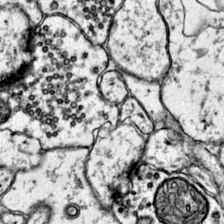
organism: Mouse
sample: Primary visual cortex